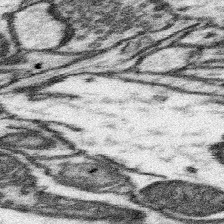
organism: Mouse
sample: Somatosensory cortex neuropil